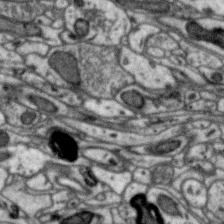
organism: Zebra finch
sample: Brain